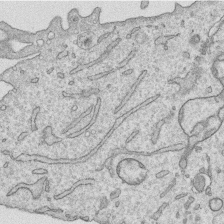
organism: Human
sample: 1205lu cells